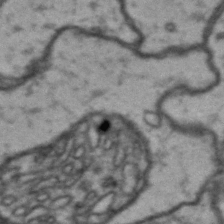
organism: Drosophila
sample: Brain